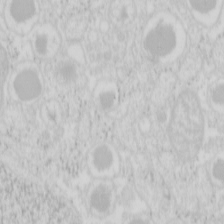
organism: Mouse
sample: Pancreas